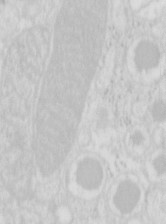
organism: Mouse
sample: Pancreas